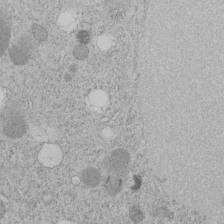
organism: C. elegans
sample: C. elegans embryo early stage